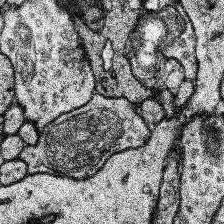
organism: Human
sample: Temporal Lobe